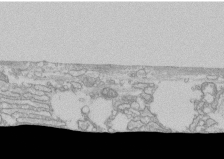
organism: Human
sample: CRL-1474